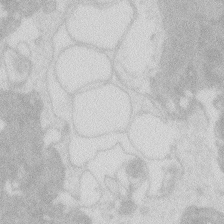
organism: Zebrafish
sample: Macrophage